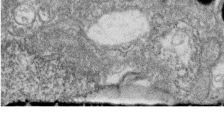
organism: Zebrafish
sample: Cilia; retinal pigment epithelium